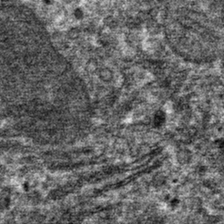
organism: Mouse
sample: Mouse hepatocytes